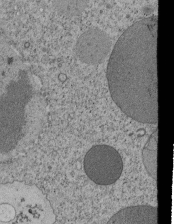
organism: Tetrahymena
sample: Cilia in tetrahymena